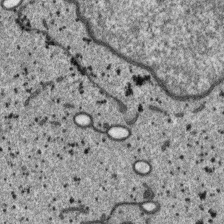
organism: Human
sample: Lung epithelial cells infected with SARS-CoV-2